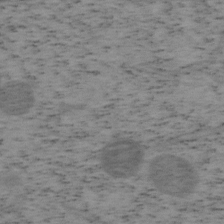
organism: Mouse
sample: OT-I killer T cells with ID8 ovarian cancer cells